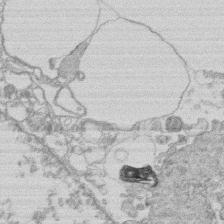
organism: Human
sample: Macrophage cells